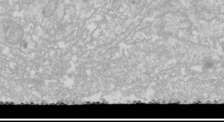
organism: Drosophila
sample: Cell division; meiosis; drosophila spermatocytes